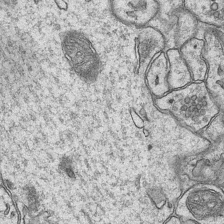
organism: Mouse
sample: CA1 Hippocampus